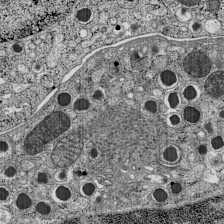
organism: C57BL Mouse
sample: Pancreatic islet